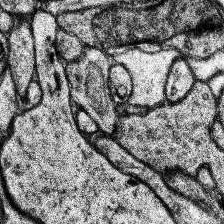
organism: Human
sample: Temporal Lobe